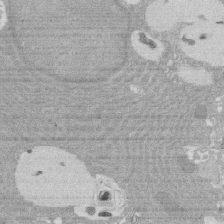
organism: Rat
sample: Salivary granule